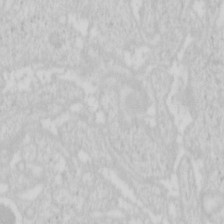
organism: Mouse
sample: Pancreas